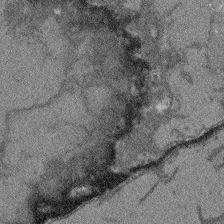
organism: Arabidopsis thaliana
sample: Root tip